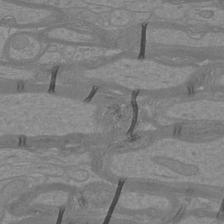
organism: Mouse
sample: Cortical neurons